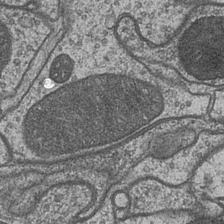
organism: Drosophila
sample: Optic medulla